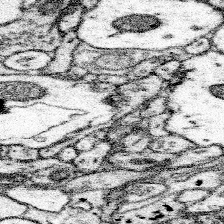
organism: Mouse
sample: Somatosensory cortex neuropil